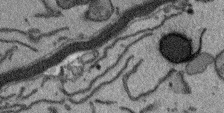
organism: Arabidopsis thaliana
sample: Root tip